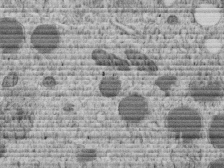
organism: C. elegans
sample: C. elegans embryo early stage